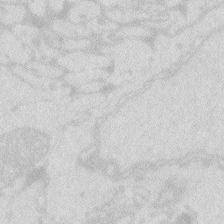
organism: Zebrafish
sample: Macrophage